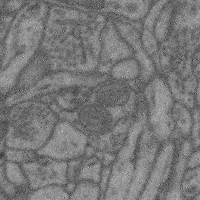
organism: Mouse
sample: Cerebral cortex